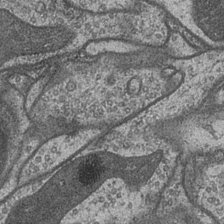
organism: Drosophila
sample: Optic medulla